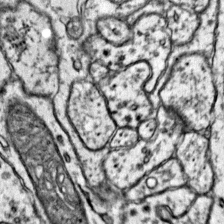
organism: Mouse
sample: Primary visual cortex